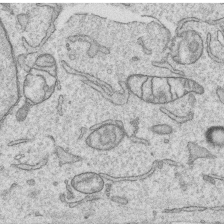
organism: Human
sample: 1205lu cells